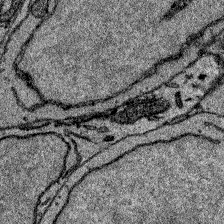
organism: Zebrafish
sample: Larval olfactory bulb